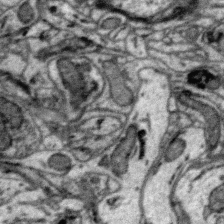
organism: Zebra finch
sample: Brain